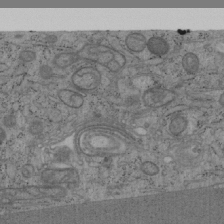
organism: Human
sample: HeLa cells